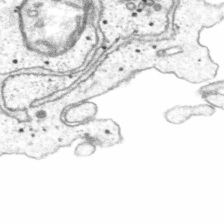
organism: Human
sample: HeLa cells